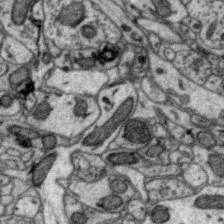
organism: Zebra finch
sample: Brain